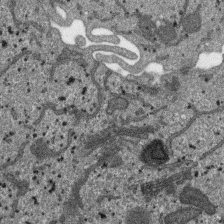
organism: Human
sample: Lung epithelial cells infected with SARS-CoV-2